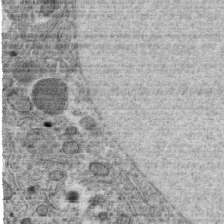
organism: C. elegans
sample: C. elegans oocyte; sperm cells